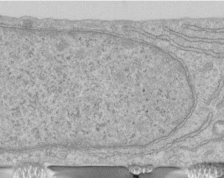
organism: Human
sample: Centriole in RPE cells